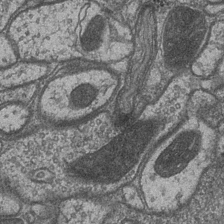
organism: Drosophila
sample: Optic medulla